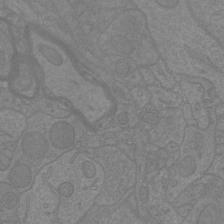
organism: Mouse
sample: Cortical neurons